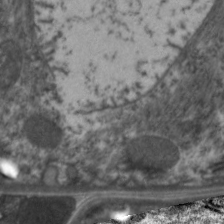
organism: C. elegans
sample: Pharynx